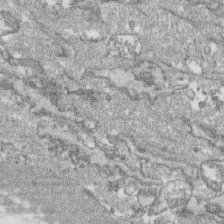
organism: Human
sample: CRL-1474